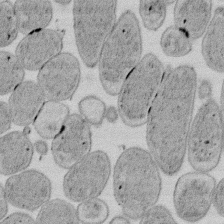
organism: E. coli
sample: Bacterial nucleoid